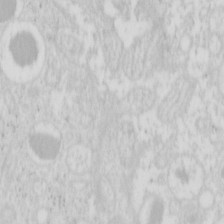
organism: Mouse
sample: Pancreas